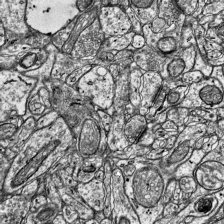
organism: Mouse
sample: Visual Cortex